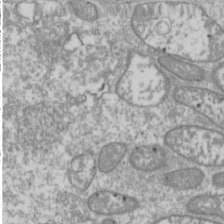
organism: Drosophila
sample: Cell division; meiosis; drosophila spermatocytes